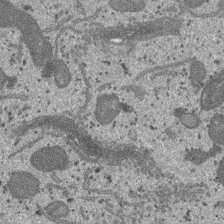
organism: Human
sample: Lung epithelial cells infected with SARS-CoV-2